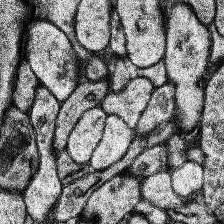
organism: Human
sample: Temporal Lobe